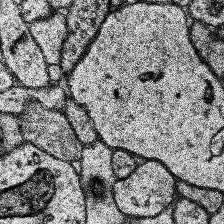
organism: Human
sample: Temporal Lobe